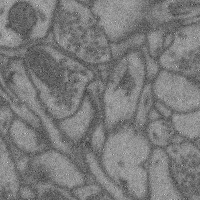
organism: Mouse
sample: Cerebral cortex